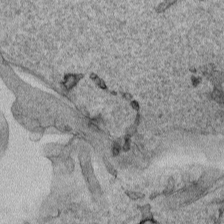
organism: Human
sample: Mitochondria in HCT116 cells